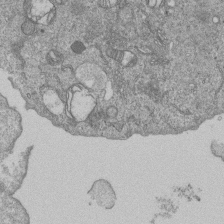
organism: Human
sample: MDA-MB-231 cells